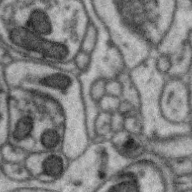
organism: Zebra finch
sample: Brain